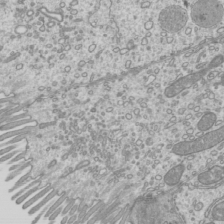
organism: Mouse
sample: Cilia; mouse epididymis